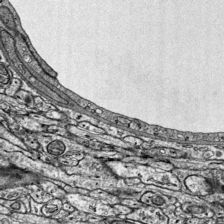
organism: Mouse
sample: Visual Cortex